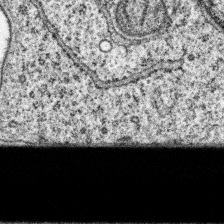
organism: Human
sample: HeLa cells